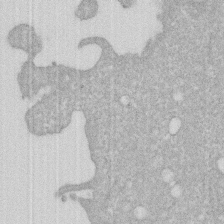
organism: Human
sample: HIV infected U937 cells